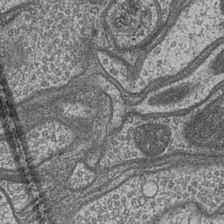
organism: Drosophila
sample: Optic medulla